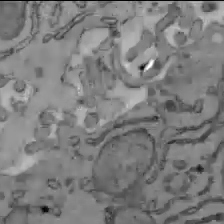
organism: C57BL Mouse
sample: Liver